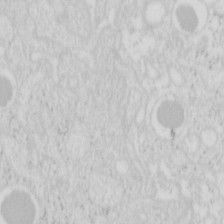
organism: Mouse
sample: Pancreas